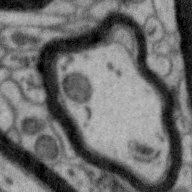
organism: Zebra finch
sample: Brain